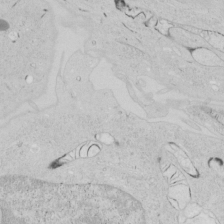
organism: Human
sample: Mitochondria in HCT116 cells